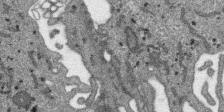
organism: Human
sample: Lung epithelial cells infected with SARS-CoV-2